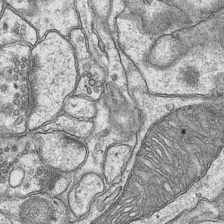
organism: Mouse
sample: CA1 Hippocampus